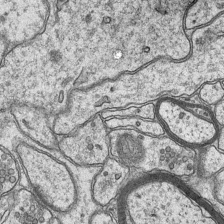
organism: Mouse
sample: CA1 Hippocampus